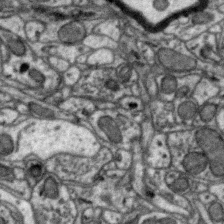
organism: Zebra finch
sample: Brain